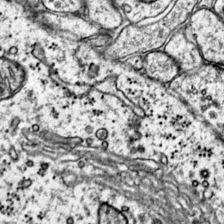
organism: Mouse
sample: Primary visual cortex